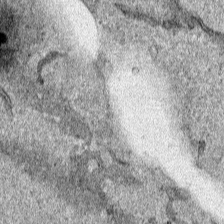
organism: Human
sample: Mitochondria in HCT116 cells